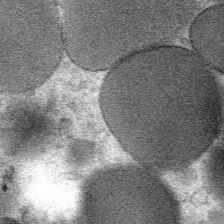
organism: Mouse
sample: Mouse Salivary gland